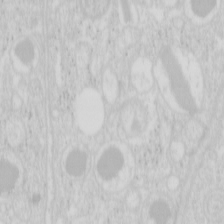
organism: Mouse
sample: Pancreas